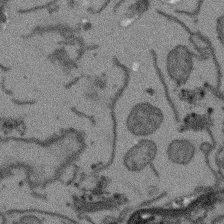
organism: Arabidopsis thaliana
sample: Root tip